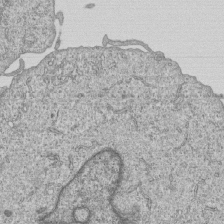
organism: Human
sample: MDA-MB-231 cells